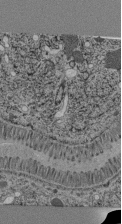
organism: C. elegans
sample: C. elegans pharynx